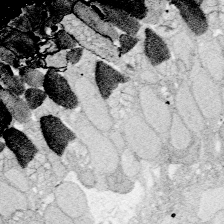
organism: Zebrafish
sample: Whole-Brain